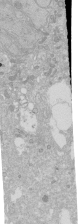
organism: Human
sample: Caco-2 cells